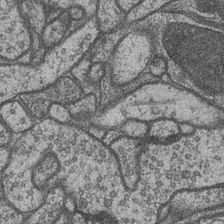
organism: Drosophila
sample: Optic medulla